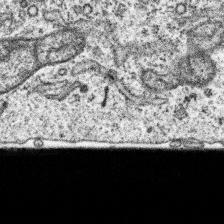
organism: Human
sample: HeLa cells